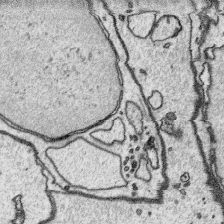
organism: Platynereis dumerilii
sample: Parapodia